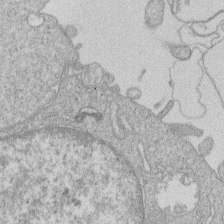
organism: Human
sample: Macrophage cells